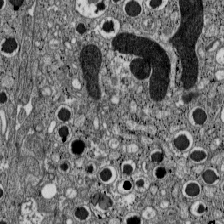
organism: C57BL Mouse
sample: Pancreatic islet